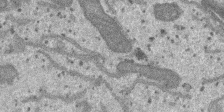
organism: Human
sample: Lung epithelial cells infected with SARS-CoV-2